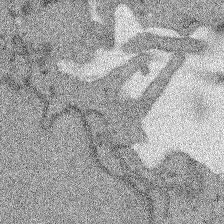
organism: Human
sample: HeLa cells